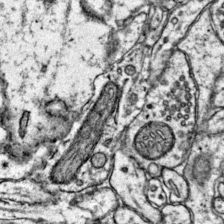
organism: Mouse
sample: Primary visual cortex